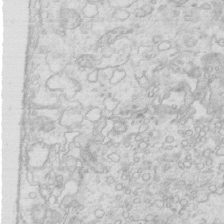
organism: Mouse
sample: Multiciliated cells